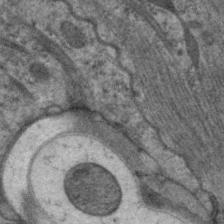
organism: C. elegans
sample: Pharynx